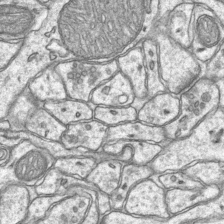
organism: Mouse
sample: CA1 Hippocampus